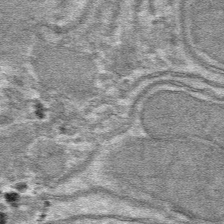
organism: Mouse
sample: Mouse hepatocytes